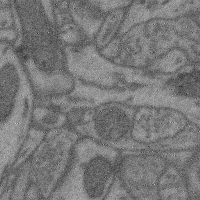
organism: Mouse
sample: Cerebral cortex